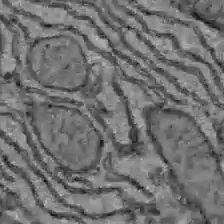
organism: C57BL Mouse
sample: Liver